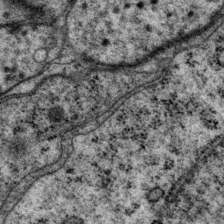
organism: P. pacificus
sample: Pharynx